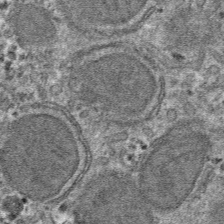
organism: Mouse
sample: Mouse hepatocytes